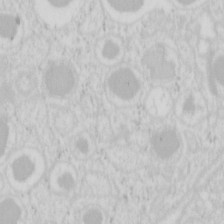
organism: Mouse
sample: Pancreas